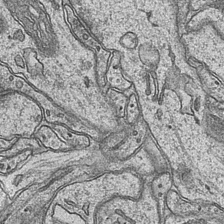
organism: Mouse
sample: CA1 Hippocampus